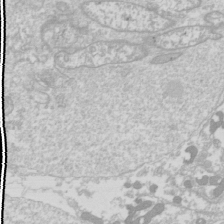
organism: Drosophila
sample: Cell division; meiosis; drosophila spermatocytes